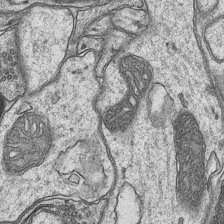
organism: Mouse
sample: CA1 Hippocampus